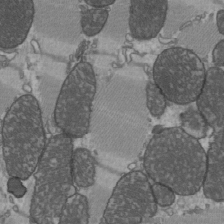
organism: C57BL Mouse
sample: Heart